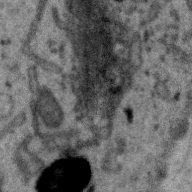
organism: Zebra finch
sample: Brain